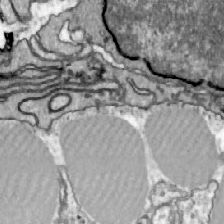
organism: Zebrafish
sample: Actinotrichia fibers